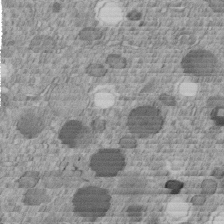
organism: C. elegans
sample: C. elegans embryo early stage